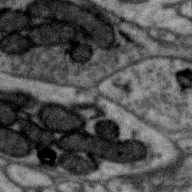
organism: Zebra finch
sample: Brain